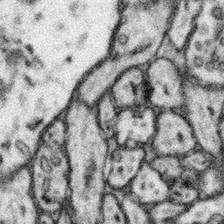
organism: Mouse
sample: Somatosensory cortex neuropil